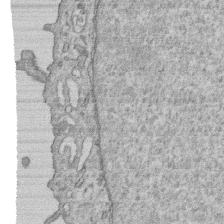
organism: Human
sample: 1205lu cells